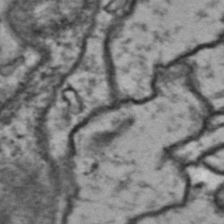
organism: Drosophila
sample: Brain